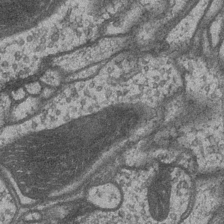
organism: Drosophila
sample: Optic medulla